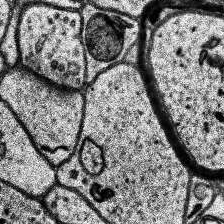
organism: Human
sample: Temporal Lobe